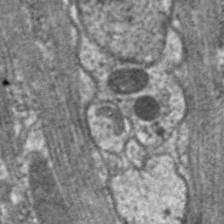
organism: C. elegans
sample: Pharynx